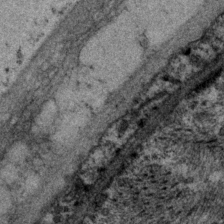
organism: P. pacificus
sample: Pharynx